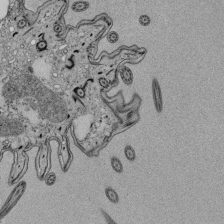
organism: Tetrahymena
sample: Cilia in tetrahymena